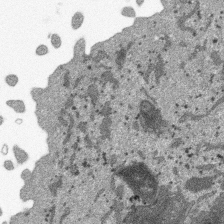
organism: Human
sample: Lung epithelial cells infected with SARS-CoV-2